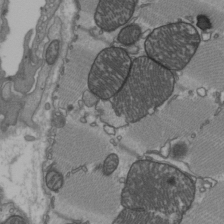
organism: C57BL Mouse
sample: Heart